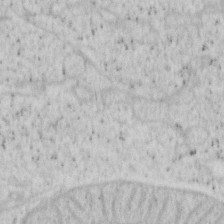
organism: Human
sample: HeLa cells